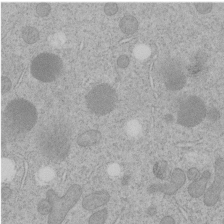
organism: C. elegans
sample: C. elegans embryo early stage